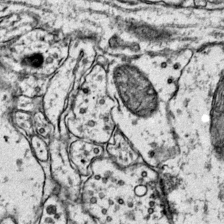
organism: Mouse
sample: Primary visual cortex